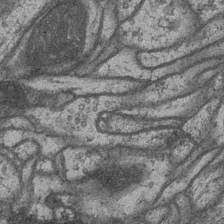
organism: Drosophila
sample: Optic medulla